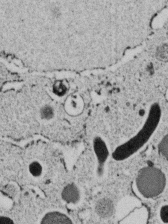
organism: C. elegans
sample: C. elegans embryo early stage